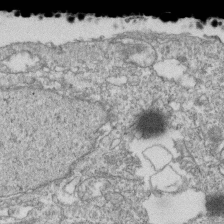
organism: Human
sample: HeLa cell HIV synapse